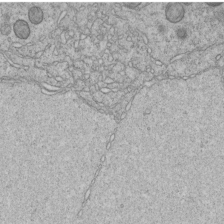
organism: C. elegans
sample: C. elegans embryo early stage